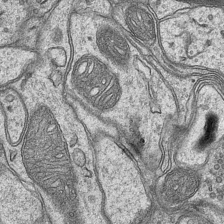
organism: Mouse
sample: CA1 Hippocampus